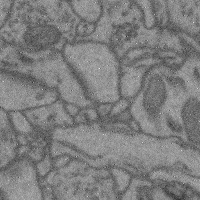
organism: Mouse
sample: Cerebral cortex